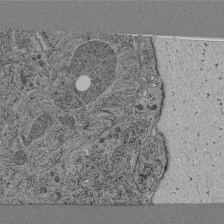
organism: C. elegans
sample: C. elegans pharynx